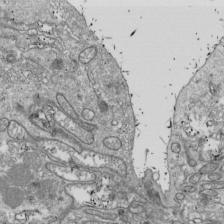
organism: Drosophila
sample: Cell division; meiosis; drosophila spermatocytes